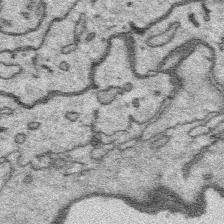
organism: Platynereis dumerilii